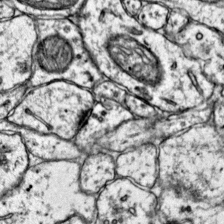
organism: Mouse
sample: Primary visual cortex